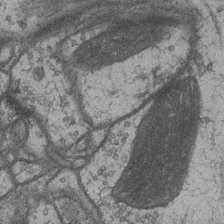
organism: Drosophila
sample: Optic medulla